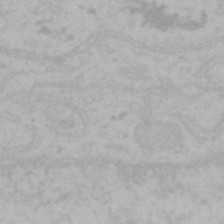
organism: Mouse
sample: Choroid plexus